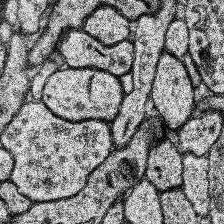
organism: Human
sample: Temporal Lobe